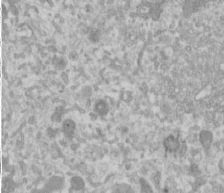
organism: Human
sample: Cilia; basal body in RPE cells